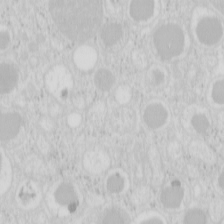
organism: Mouse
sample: Pancreas